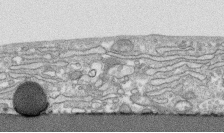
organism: Human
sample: CRL-1474